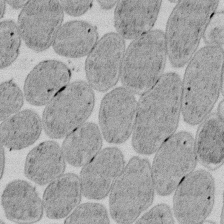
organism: E. coli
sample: Bacterial nucleoid